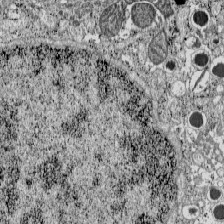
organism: C57BL Mouse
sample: Pancreatic islet